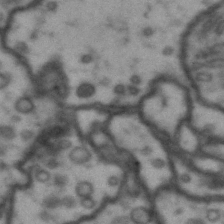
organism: Drosophila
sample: Brain